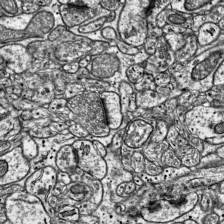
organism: Mouse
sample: Visual Cortex